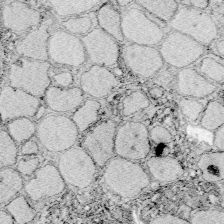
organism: Zebrafish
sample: Whole-Brain